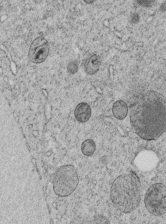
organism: C. elegans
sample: C. elegans embryo early stage